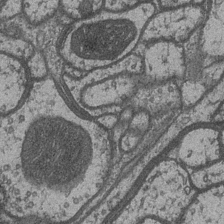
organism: Drosophila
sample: Optic medulla